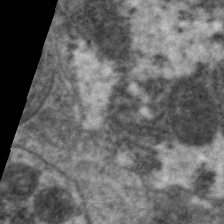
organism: C. elegans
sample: Pharynx